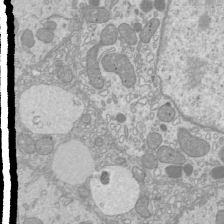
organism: Mouse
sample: Cilia; mouse epididymis